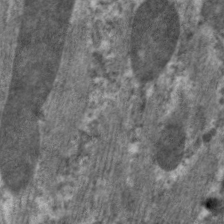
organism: C. elegans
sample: Pharynx